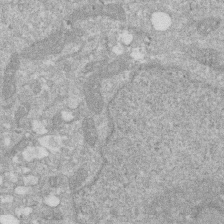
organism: Human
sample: HIV infected U937 cells